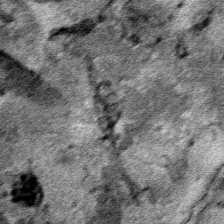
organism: Human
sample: Mitochondria in HCT116 cells